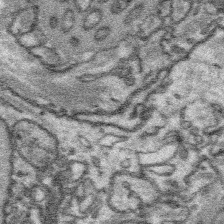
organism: Platynereis dumerilii